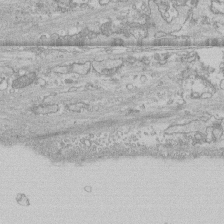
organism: Human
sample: CRL-1474